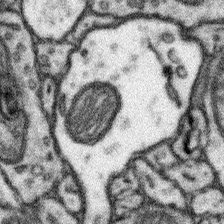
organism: Mouse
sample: Somatosensory cortex neuropil